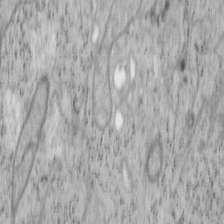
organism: Human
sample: HeLa cells